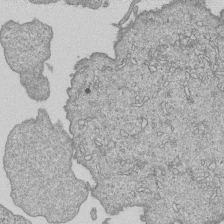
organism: Human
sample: MDA-MB-231 cells